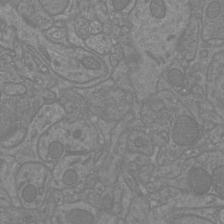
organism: Mouse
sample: Cortical neurons